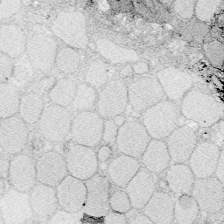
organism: Zebrafish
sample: Whole-Brain